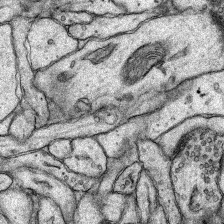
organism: Rat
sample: Hippocampus